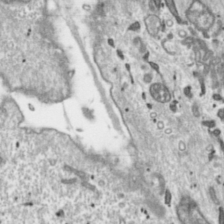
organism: Toxoplasma gondii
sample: Parasites in a vacuole inside a host cell